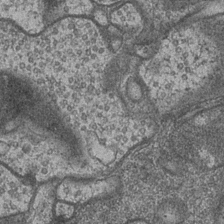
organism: Drosophila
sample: Optic medulla